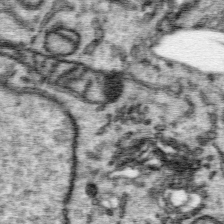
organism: Human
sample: HeLa cells